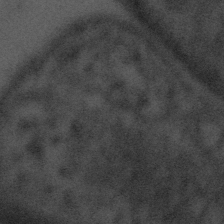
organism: Tuwongella immobilis